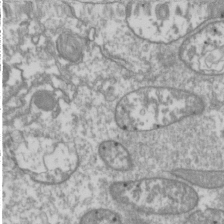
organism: Drosophila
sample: Cell division; meiosis; drosophila spermatocytes